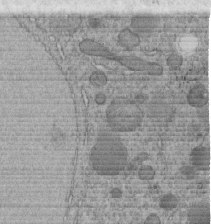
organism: C. elegans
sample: C. elegans embryo early stage